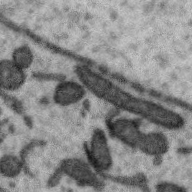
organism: Zebra finch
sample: Brain